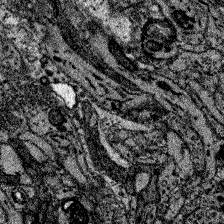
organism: Zebrafish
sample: Larval olfactory bulb